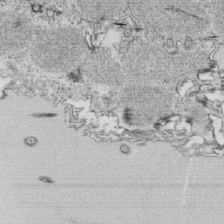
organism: Tetrahymena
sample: Cilia in tetrahymena